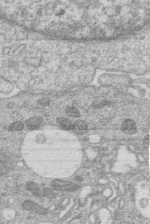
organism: Human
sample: Macrophage cells